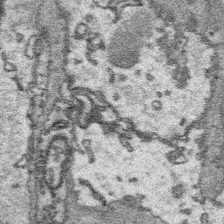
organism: Platynereis dumerilii